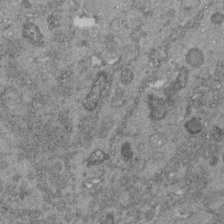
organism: C. elegans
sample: C. elegans embryo early stage